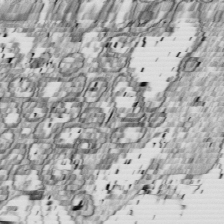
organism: Drosophila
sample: Cell division; meiosis; drosophila spermatocytes